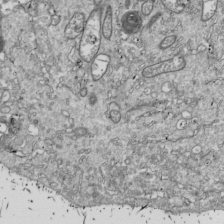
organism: Drosophila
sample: Cell division; meiosis; drosophila spermatocytes